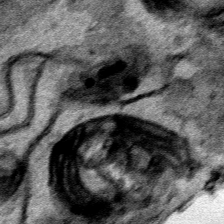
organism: Human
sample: Mitochondria in HCT116 cells